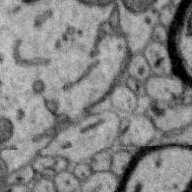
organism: Zebra finch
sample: Brain